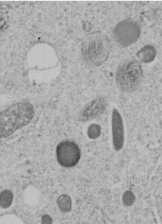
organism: C. elegans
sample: C. elegans embryo early stage